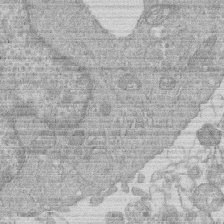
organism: Human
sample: Macrophage cells